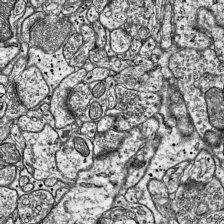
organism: Mouse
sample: Visual Cortex